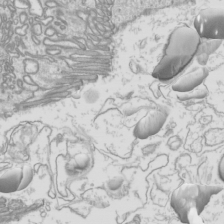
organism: Mouse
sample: Cilia; mouse epididymis